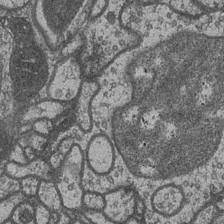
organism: Drosophila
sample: Optic medulla